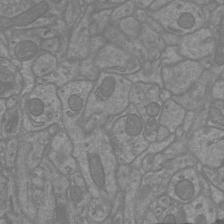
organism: Mouse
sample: Cortical neurons